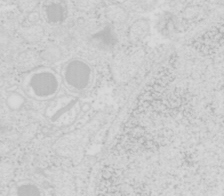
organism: Mouse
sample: Pancreas